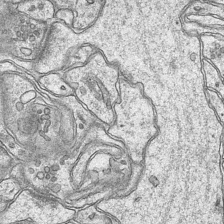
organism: Mouse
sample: CA1 Hippocampus